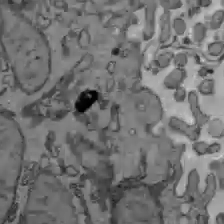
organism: C57BL Mouse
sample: Liver